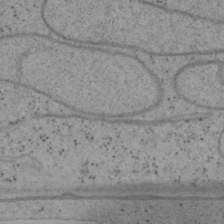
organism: Human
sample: HeLa cells